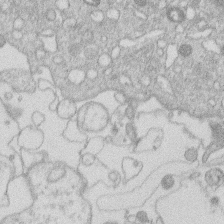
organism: Human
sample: Macrophage cells